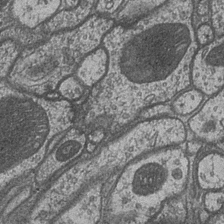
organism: Drosophila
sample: Optic medulla